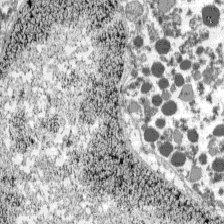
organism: C57BL Mouse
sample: Pancreatic islet